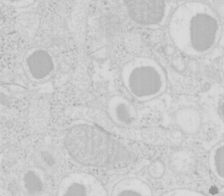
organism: Mouse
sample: Pancreas